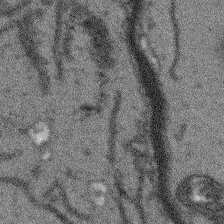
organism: Arabidopsis thaliana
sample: Root tip